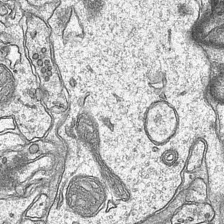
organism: Mouse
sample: CA1 Hippocampus